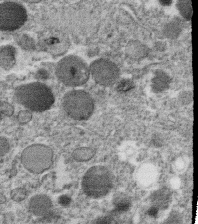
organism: C. elegans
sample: C. elegans oocyte; sperm cells